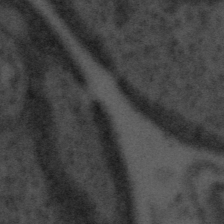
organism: Tuwongella immobilis